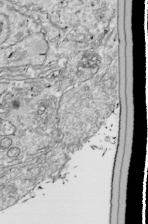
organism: Drosophila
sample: Cell division; meiosis; drosophila spermatocytes